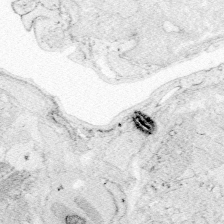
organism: Zebrafish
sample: Whole-Brain